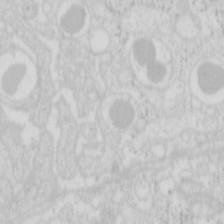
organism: Mouse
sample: Pancreas